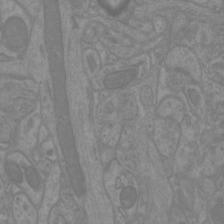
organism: Mouse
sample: Cortical neurons